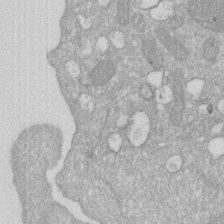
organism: Human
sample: HIV infected U937 cells